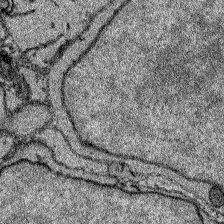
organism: Zebrafish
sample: Larval olfactory bulb